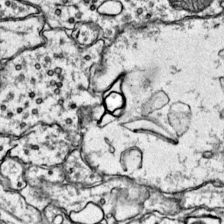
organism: Mouse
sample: Primary visual cortex